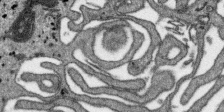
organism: Human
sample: Lung epithelial cells, uninfected (mock) control